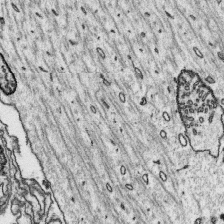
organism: Platynereis dumerilii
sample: Parapodia